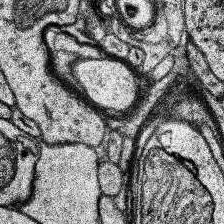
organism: Human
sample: Temporal Lobe